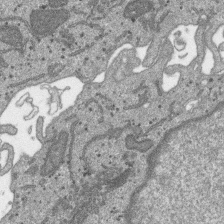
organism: Human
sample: Lung epithelial cells infected with SARS-CoV-2